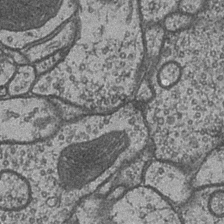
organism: Drosophila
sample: Optic medulla